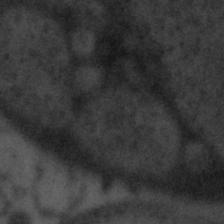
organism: Tuwongella immobilis